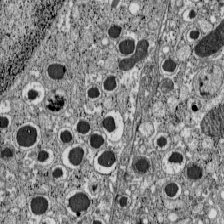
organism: C57BL Mouse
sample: Pancreatic islet